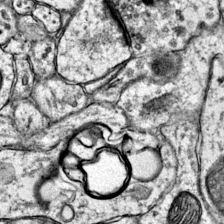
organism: Mouse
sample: Primary visual cortex